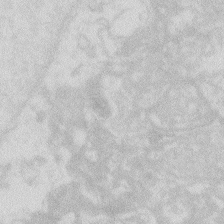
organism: Zebrafish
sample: Macrophage